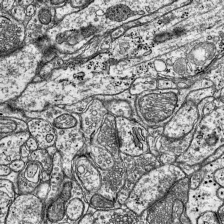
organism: Mouse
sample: Visual Cortex